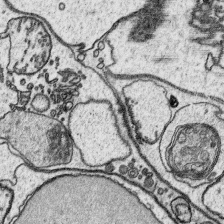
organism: Platynereis dumerilii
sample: Parapodia